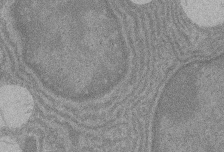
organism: Rat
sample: Salivary granule